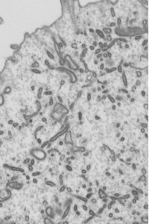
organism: Mouse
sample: Mouse epididymis efferent ductule cilia